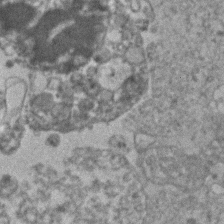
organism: Human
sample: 1205lu cells